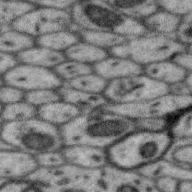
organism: Zebra finch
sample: Brain